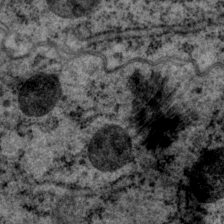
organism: P. pacificus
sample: Pharynx